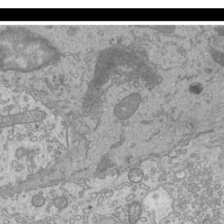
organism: Mouse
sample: Cilia; mouse epididymis